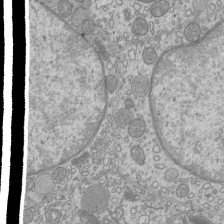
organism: Mouse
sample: Cilia; mouse epididymis